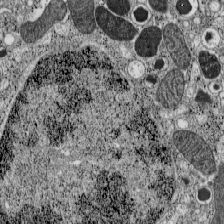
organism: C57BL Mouse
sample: Pancreatic islet